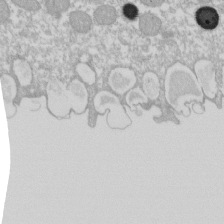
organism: Xenopus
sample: Cilia; centrioles in frog embryo cells